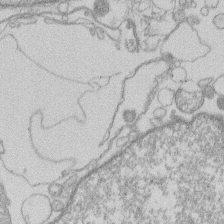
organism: Human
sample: Macrophage cells